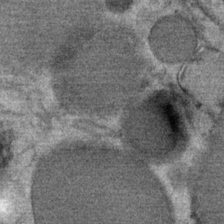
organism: Mouse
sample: Mouse Salivary gland